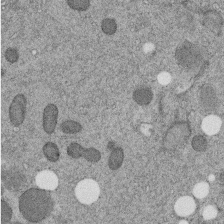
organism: C. elegans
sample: C. elegans embryo early stage